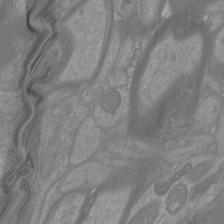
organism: Mouse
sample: Cortical neurons